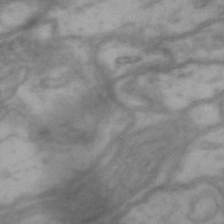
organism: Drosophila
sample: Brain